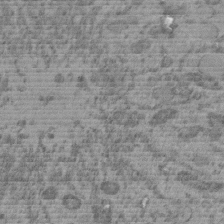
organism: C. elegans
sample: C. elegans embryo early stage